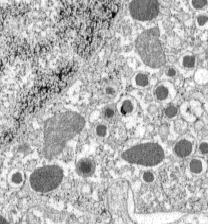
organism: C57BL Mouse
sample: Pancreatic islet